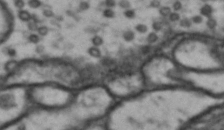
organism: Drosophila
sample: Brain